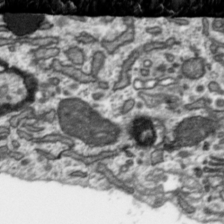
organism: Toxoplasma gondii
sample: Parasites in a vacuole inside a host cell